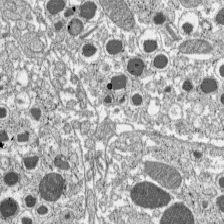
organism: C57BL Mouse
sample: Pancreatic islet